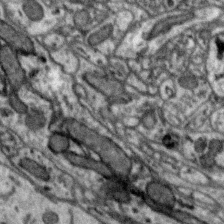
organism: Zebra finch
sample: Brain